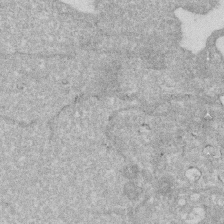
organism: Human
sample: HIV infected U937 cells